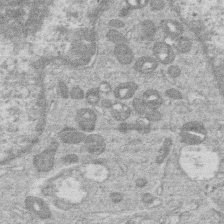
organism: Human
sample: Macrophage cells